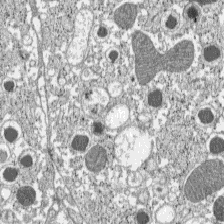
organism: C57BL Mouse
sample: Pancreatic islet